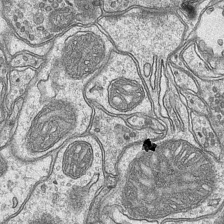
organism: Mouse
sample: CA1 Hippocampus